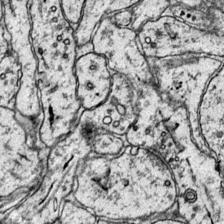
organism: Mouse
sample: Primary visual cortex